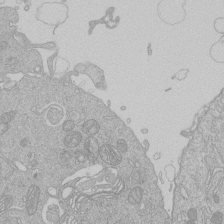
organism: Human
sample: Macrophage cells